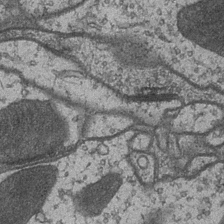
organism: Drosophila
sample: Optic medulla